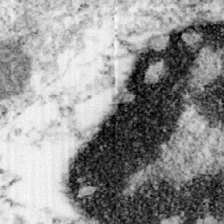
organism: Mouse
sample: OT-I killer T cells with ID8 ovarian cancer cells